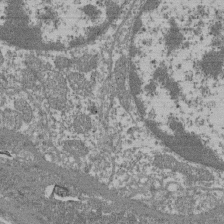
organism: Mouse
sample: Glomerulus